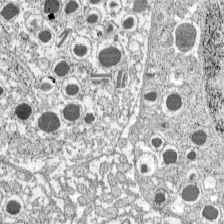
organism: C57BL Mouse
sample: Pancreatic islet